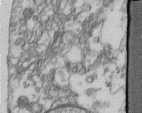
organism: Human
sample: Centriole in fibroblast cells